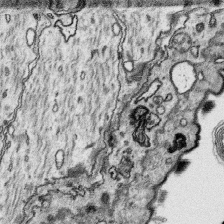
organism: Platynereis dumerilii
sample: Parapodia